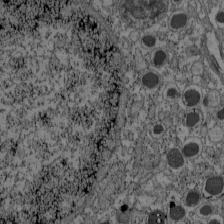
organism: C57BL Mouse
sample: Pancreatic islet